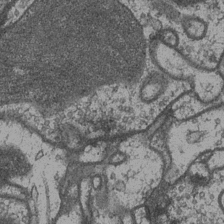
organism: Drosophila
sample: Optic medulla